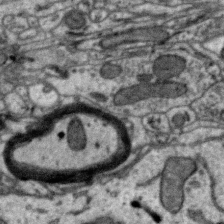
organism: Zebra finch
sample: Brain